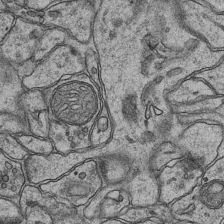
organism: Mouse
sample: CA1 Hippocampus